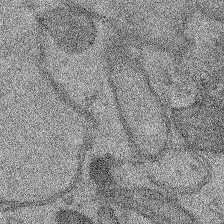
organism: Human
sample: HeLa cells